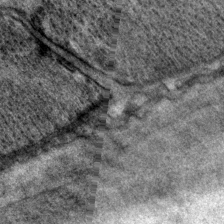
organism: P. pacificus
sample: Pharynx